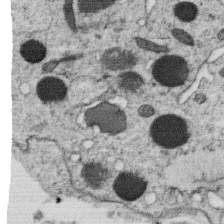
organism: C. elegans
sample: C. elegans oocyte; sperm cells